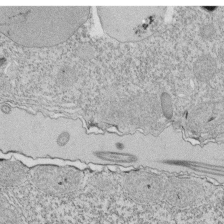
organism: Tetrahymena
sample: Cilia in tetrahymena